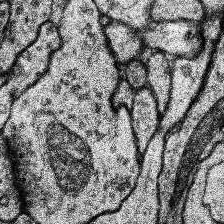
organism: Human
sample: Temporal Lobe